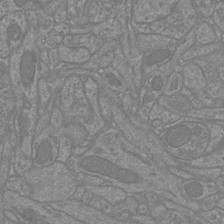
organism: Mouse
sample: Cortical neurons